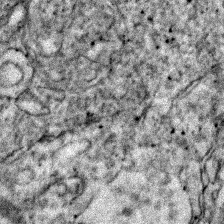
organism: Zebrafish